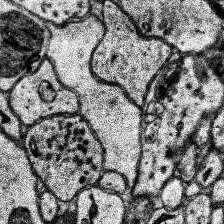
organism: Human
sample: Temporal Lobe